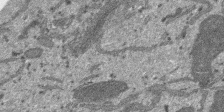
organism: Human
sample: Lung epithelial cells infected with SARS-CoV-2